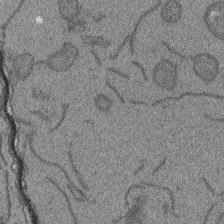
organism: Arabidopsis thaliana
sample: Root tip